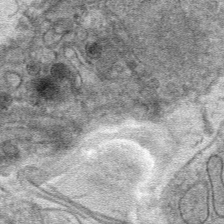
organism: Mouse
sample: Mouse hepatocytes